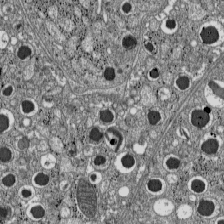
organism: C57BL Mouse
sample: Pancreatic islet